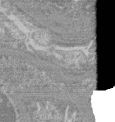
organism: Mouse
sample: Glomerulus